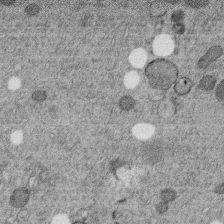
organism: C. elegans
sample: C. elegans embryo early stage